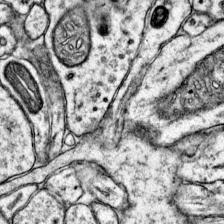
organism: Mouse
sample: Primary visual cortex